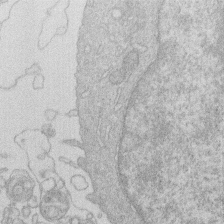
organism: Human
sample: Macrophage cells